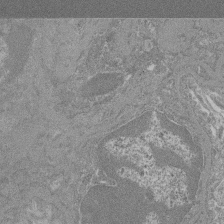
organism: Mouse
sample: Glomerulus